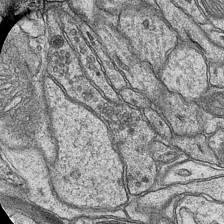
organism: Mouse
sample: CA1 Hippocampus